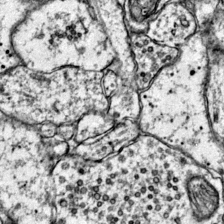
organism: Mouse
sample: Primary visual cortex